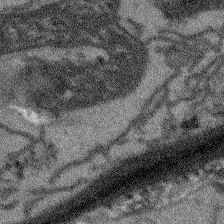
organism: Arabidopsis thaliana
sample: Root tip